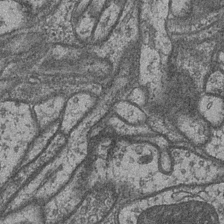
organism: Drosophila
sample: Optic medulla